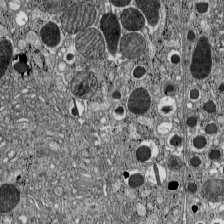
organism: C57BL Mouse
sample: Pancreatic islet